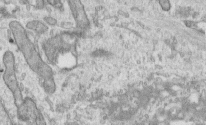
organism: Human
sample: Centriole in RPE cells